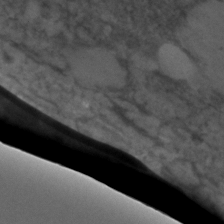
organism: C. elegans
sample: C. elegans embryo